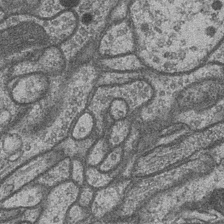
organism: Drosophila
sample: Optic medulla